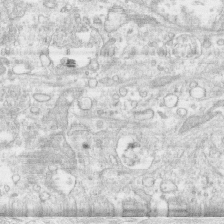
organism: Human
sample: CRL-1474